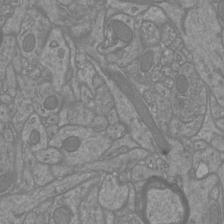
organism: Mouse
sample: Cortical neurons